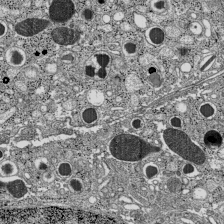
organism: C57BL Mouse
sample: Pancreatic islet